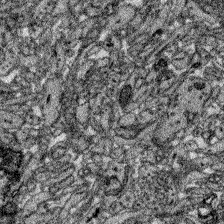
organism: Zebrafish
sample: Larval olfactory bulb